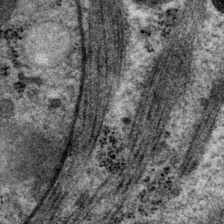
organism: P. pacificus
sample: Pharynx